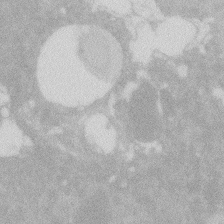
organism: Zebrafish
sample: Macrophage